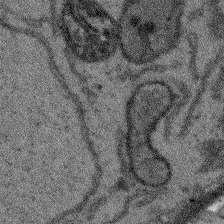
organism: Arabidopsis thaliana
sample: Root tip